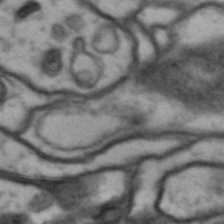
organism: Drosophila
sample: Brain